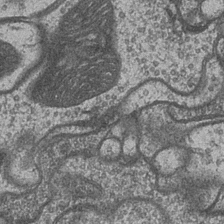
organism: Drosophila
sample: Optic medulla